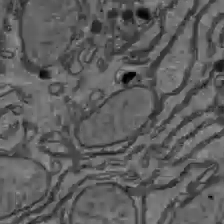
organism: C57BL Mouse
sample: Liver